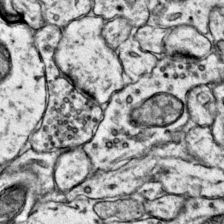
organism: Mouse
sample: Primary visual cortex